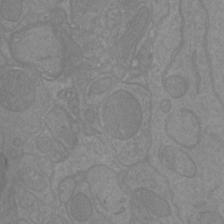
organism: Mouse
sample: Cortical neurons